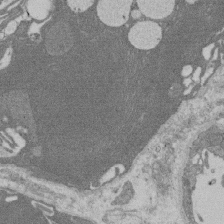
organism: Rat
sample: Salivary granule